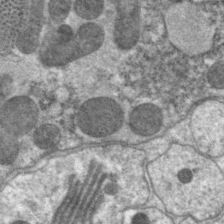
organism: C. elegans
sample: Pharynx